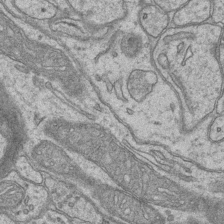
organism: Mouse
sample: CA1 Hippocampus